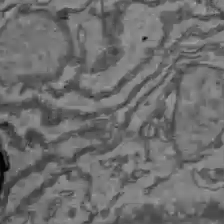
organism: C57BL Mouse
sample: Liver